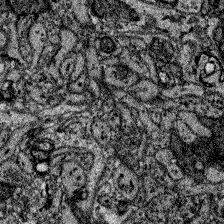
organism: Zebrafish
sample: Larval olfactory bulb